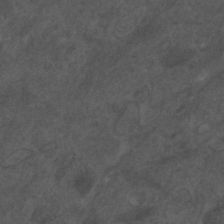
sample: Trachea